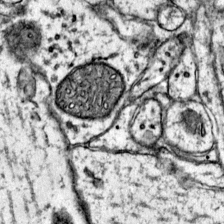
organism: Mouse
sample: Primary visual cortex